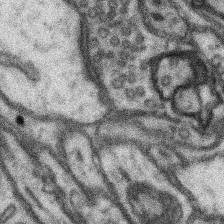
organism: Mouse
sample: Somatosensory cortex neuropil